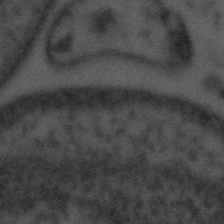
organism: Tuwongella immobilis